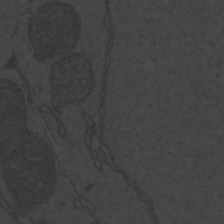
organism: Zebrafish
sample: Macrophage infected with Toxoplasma gondii